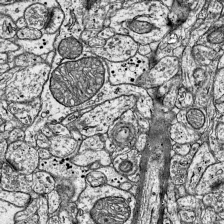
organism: Mouse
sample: Visual Cortex